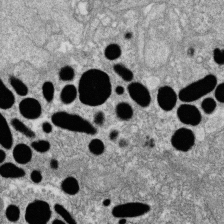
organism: Zebrafish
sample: Cilia; retinal pigment epithelium